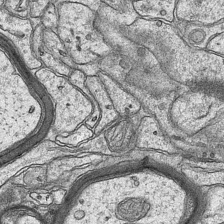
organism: Mouse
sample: CA1 Hippocampus